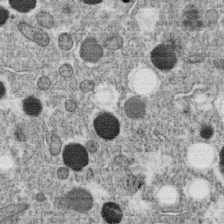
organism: C. elegans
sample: C. elegans oocyte; sperm cells